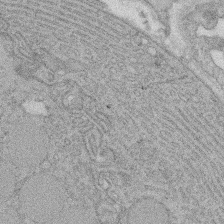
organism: Rat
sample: Salivary granule